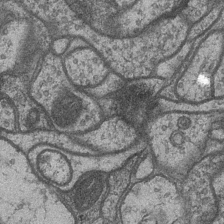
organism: Drosophila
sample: Optic medulla